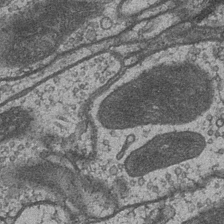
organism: Drosophila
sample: Optic medulla